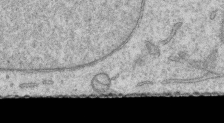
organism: Human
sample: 1205lu cells